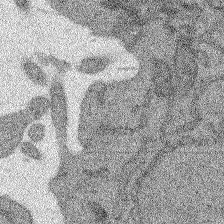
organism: Human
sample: HeLa cells